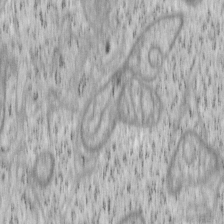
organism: Human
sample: HeLa cells